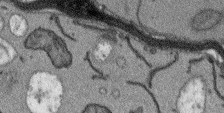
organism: Arabidopsis thaliana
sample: Root tip